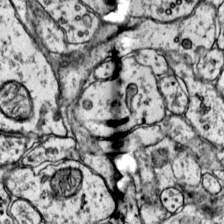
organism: Mouse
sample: Primary visual cortex